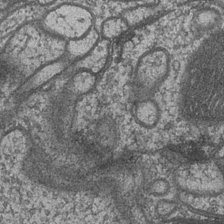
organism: Drosophila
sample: Optic medulla